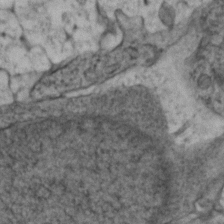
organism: Zebrafish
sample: Zebrafish embryo